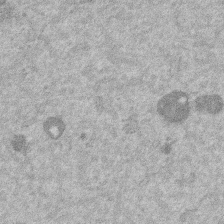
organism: Mouse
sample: Dividing mouse embryo 1 cell stage